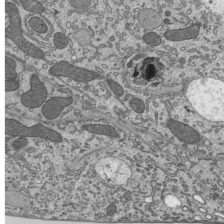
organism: Mouse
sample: Mouse epididymis efferent ductule cilia